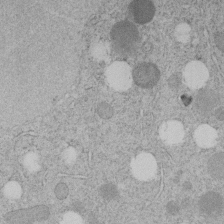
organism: C. elegans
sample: C. elegans embryo early stage